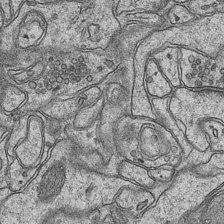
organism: Mouse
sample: CA1 Hippocampus